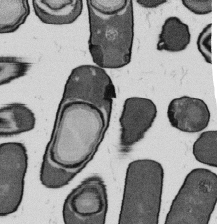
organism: B. subtilis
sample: Bacterial spore